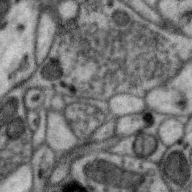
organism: Zebra finch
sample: Brain